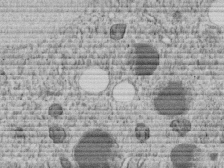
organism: C. elegans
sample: C. elegans embryo early stage